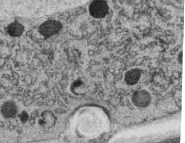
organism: C. elegans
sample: C. elegans oocyte; sperm cells